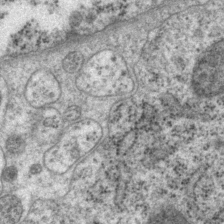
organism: P. pacificus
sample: Pharynx